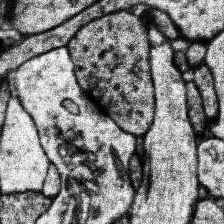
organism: Human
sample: Temporal Lobe